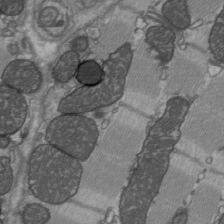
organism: C57BL Mouse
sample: Heart